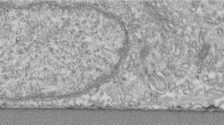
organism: Human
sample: Centriole in fibroblast cells